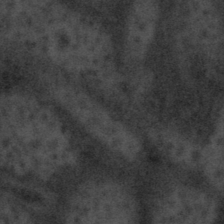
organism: Tuwongella immobilis